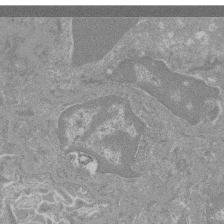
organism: Mouse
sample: Glomerulus